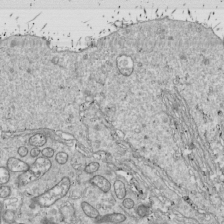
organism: Drosophila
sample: Cell division; meiosis; drosophila spermatocytes